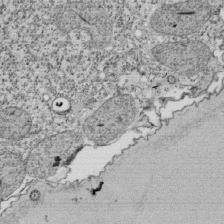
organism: Tetrahymena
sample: Cilia in tetrahymena